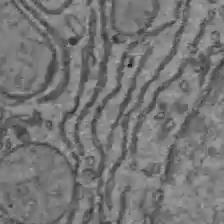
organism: C57BL Mouse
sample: Liver